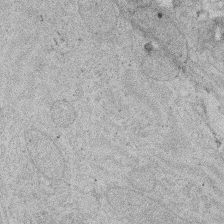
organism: Rat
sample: Salivary granule